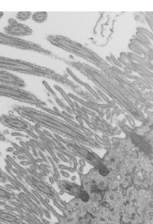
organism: Mouse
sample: Mouse epididymis efferent ductule cilia